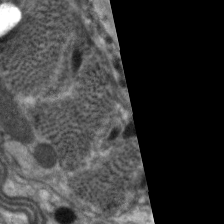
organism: C. elegans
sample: Pharynx